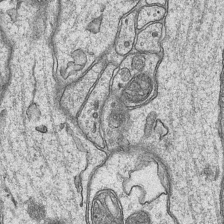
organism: Mouse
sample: CA1 Hippocampus